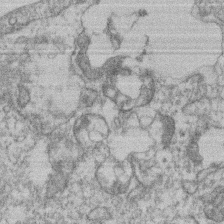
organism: Mouse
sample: T cell stromal cell synapse